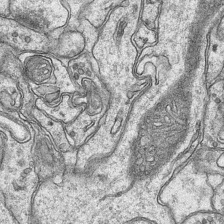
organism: Mouse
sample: CA1 Hippocampus